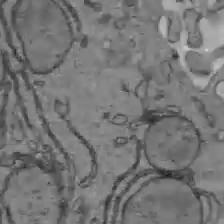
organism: C57BL Mouse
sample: Liver